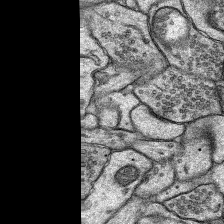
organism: Rat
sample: Hippocampus